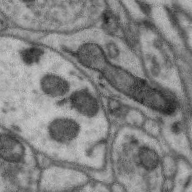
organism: Zebra finch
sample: Brain